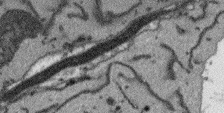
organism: Arabidopsis thaliana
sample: Root tip